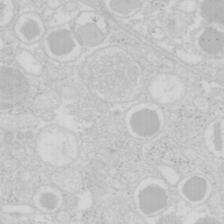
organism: Mouse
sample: Pancreas